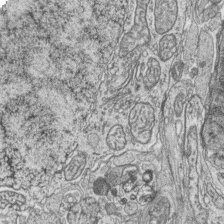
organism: Zebrafish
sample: synaptic ribbons in rod cells and cone cells